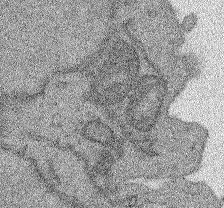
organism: Human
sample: HeLa cells